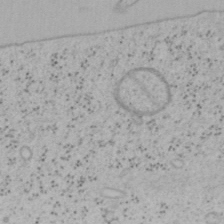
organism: Human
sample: HeLa cells